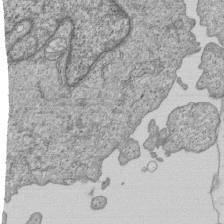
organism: Human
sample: MDA-MB-231 cells